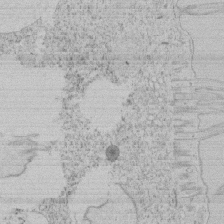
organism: Tetrahymena